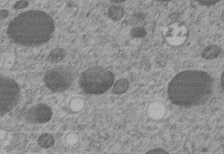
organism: C. elegans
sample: C. elegans embryo early stage